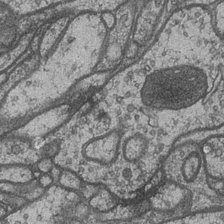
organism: Drosophila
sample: Optic medulla